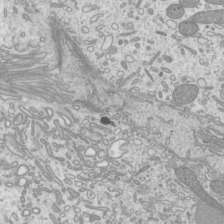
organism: Mouse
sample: Cilia; mouse epididymis